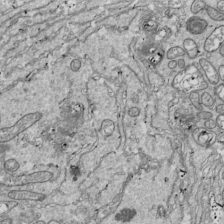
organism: Drosophila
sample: Cell division; meiosis; drosophila spermatocytes